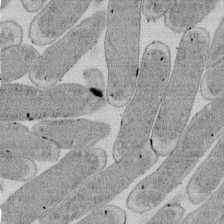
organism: E. coli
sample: Bacterial nucleoid